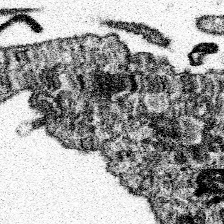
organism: Spongilla lacustris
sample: Neuroid cell